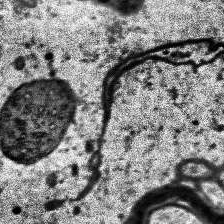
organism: Human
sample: Temporal Lobe